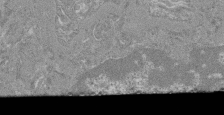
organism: Mouse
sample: Glomerulus